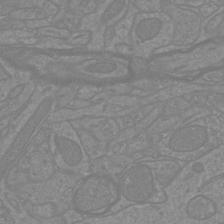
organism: Mouse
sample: Cortical neurons